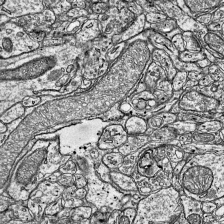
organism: Mouse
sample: Visual Cortex